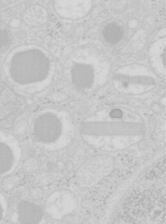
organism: Mouse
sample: Pancreas